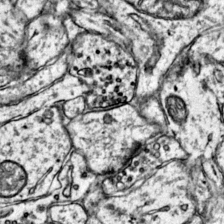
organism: Mouse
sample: Primary visual cortex